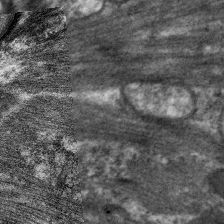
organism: C. elegans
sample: Pharynx